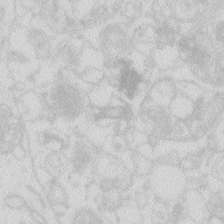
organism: Zebrafish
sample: Macrophage